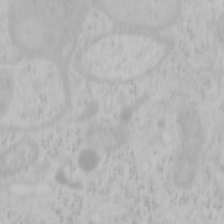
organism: Mouse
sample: OT-I killer T cells with ID8 ovarian cancer cells